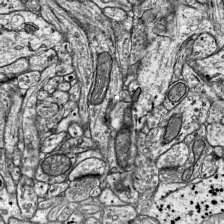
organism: Mouse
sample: Visual Cortex